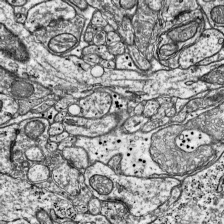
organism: Mouse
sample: Visual Cortex